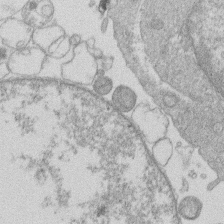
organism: Human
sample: Macrophage cells